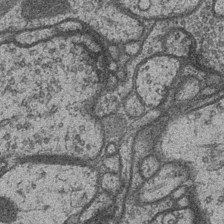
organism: Drosophila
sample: Optic medulla